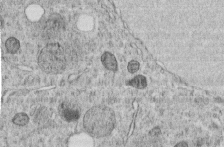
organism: C. elegans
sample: C. elegans embryo early stage